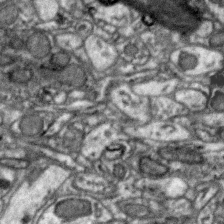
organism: Zebra finch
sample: Brain